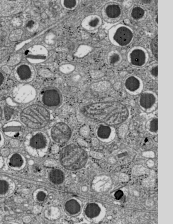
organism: C57BL Mouse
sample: Pancreatic islet